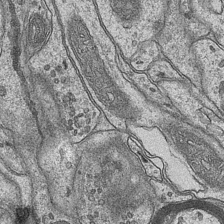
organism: Mouse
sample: CA1 Hippocampus